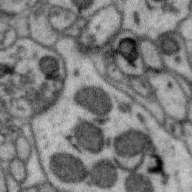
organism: Zebra finch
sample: Brain